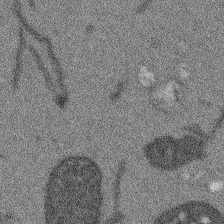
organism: Arabidopsis thaliana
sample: Root tip